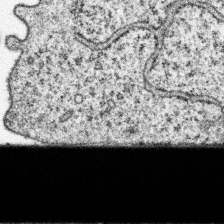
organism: Human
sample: HeLa cells